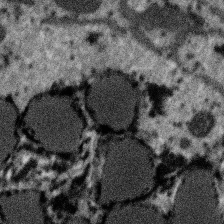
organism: Human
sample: Lung epithelial cells infected with SARS-CoV-2